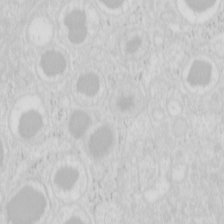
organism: Mouse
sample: Pancreas